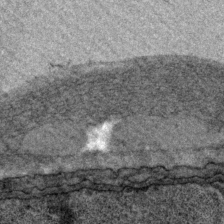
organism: P. pacificus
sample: Pharynx